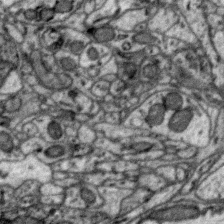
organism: Zebra finch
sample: Brain